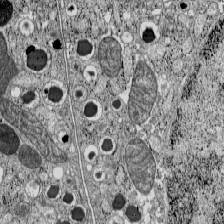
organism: C57BL Mouse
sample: Pancreatic islet